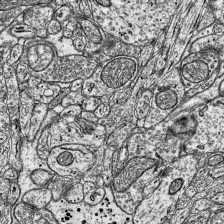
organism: Mouse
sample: Visual Cortex